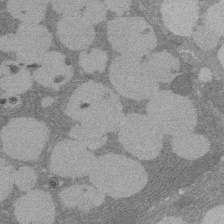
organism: Rat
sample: Salivary granule